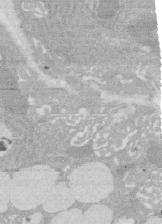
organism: Rat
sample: Salivary granule